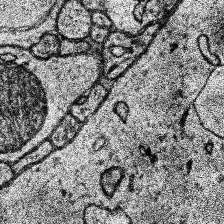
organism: Human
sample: Temporal Lobe